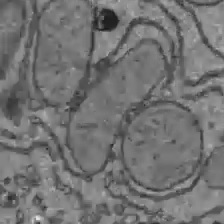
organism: C57BL Mouse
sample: Liver